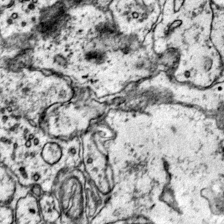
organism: Mouse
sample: Primary visual cortex